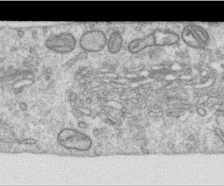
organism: Human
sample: Centriole in RPE cells